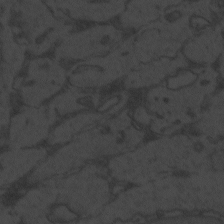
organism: Zebrafish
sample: Macrophage infected with Toxoplasma gondii